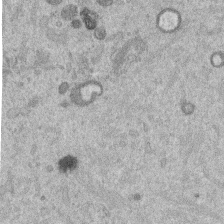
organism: Mouse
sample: Dividing mouse embryo 1 cell stage